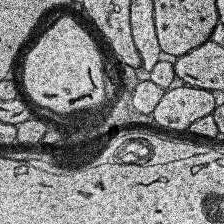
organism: Human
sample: Temporal Lobe